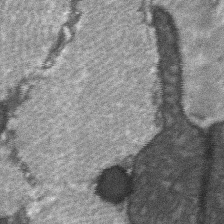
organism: C57BL Mouse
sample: Soleus